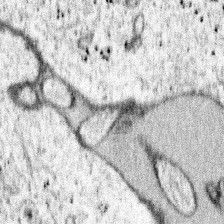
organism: Human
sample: HeLa cells